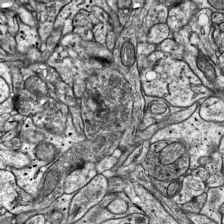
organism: Mouse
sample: Visual Cortex